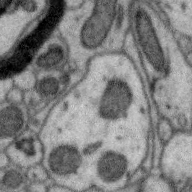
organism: Zebra finch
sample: Brain